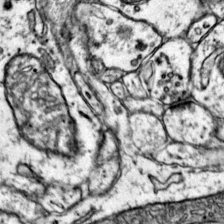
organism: Mouse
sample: Primary visual cortex